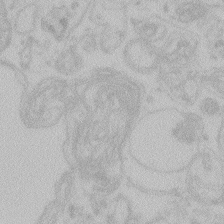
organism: Zebrafish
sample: Macrophage infected with Toxoplasma gondii